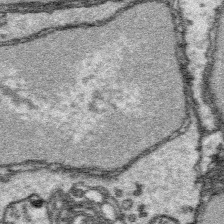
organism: Platynereis dumerilii